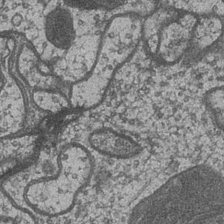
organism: Drosophila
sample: Optic medulla